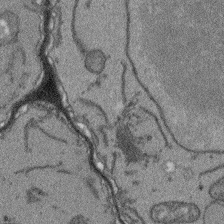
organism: Arabidopsis thaliana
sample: Root tip